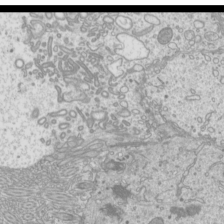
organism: Mouse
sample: Cilia; mouse epididymis